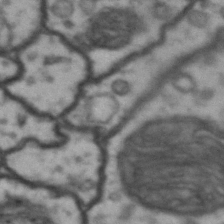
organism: Drosophila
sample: Brain